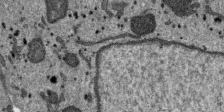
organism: Human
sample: Lung epithelial cells, uninfected (mock) control